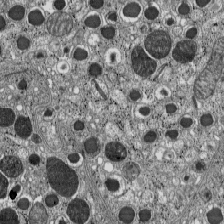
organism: C57BL Mouse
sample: Pancreatic islet